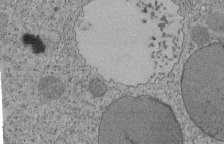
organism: Tetrahymena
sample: Cilia in tetrahymena